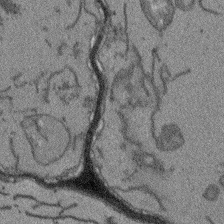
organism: Arabidopsis thaliana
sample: Root tip